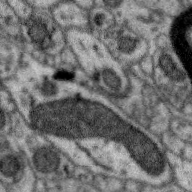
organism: Zebra finch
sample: Brain